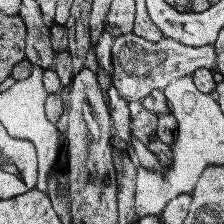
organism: Human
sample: Temporal Lobe